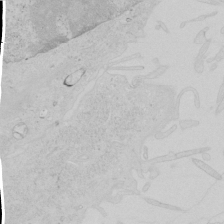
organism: Human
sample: Mitochondria in HCT116 cells